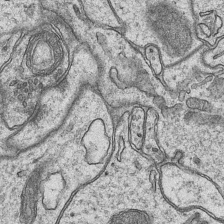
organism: Mouse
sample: CA1 Hippocampus